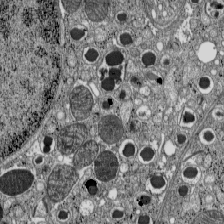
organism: C57BL Mouse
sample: Pancreatic islet